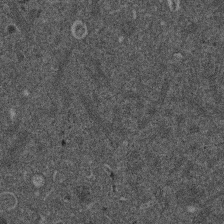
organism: Mouse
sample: Dividing mouse embryo 1 cell stage